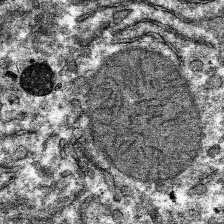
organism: Mouse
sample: Mouse hepatocytes